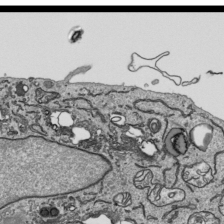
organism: Human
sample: Mitochondria in HCT116 cells